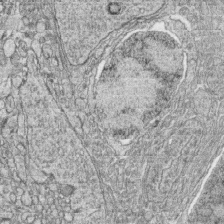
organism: Zebrafish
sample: synaptic ribbons in rod cells and cone cells